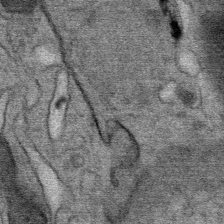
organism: Mouse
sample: Mouse Salivary gland